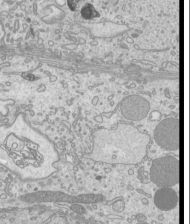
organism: Mouse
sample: Cilia; mouse epididymis